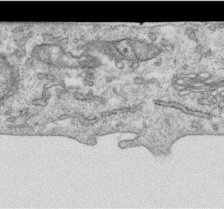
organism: Human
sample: Centriole in RPE cells